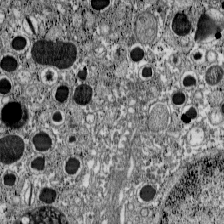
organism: C57BL Mouse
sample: Pancreatic islet